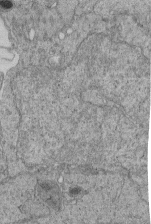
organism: Human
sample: Retinal organoid Rod and Cone cells